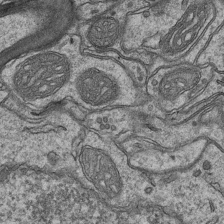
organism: Mouse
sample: CA1 Hippocampus